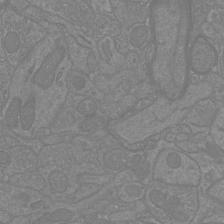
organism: Mouse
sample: Cortical neurons